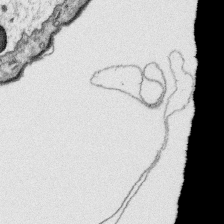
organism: Platynereis dumerilii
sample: Parapodia